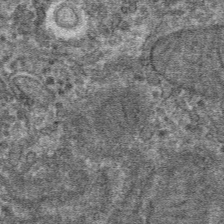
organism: Mouse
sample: Mouse hepatocytes